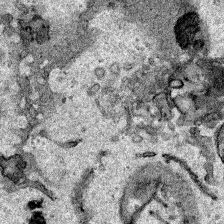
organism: Human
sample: Mitochondria in HCT116 cells